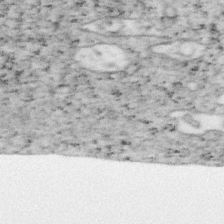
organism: Mouse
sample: OT-I killer T cells with ID8 ovarian cancer cells